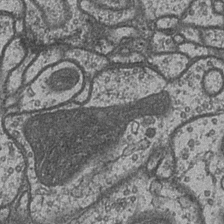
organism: Drosophila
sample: Optic medulla